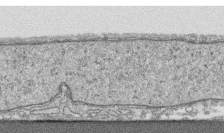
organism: Human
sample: CRL-1474